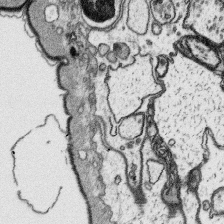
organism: Platynereis dumerilii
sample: Parapodia